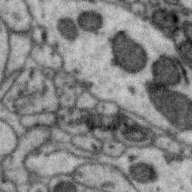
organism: Zebra finch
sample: Brain